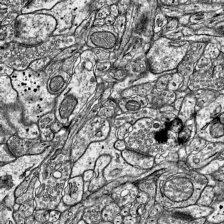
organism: Mouse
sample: Visual Cortex